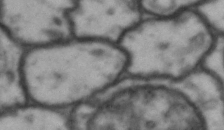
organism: Drosophila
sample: Brain